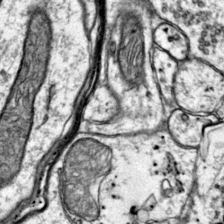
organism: Mouse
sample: Primary visual cortex